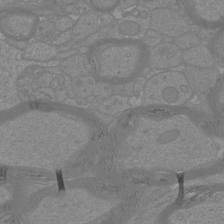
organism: Mouse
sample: Cortical neurons